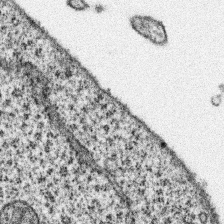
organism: Human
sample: HeLa cells